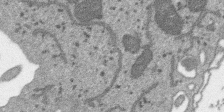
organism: Human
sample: Lung epithelial cells infected with SARS-CoV-2